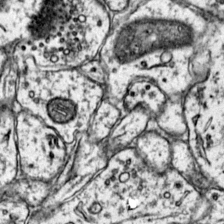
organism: Mouse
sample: Primary visual cortex